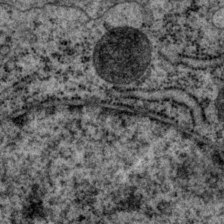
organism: P. pacificus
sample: Pharynx